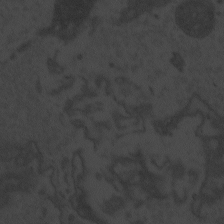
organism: Zebrafish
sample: Macrophage infected with Toxoplasma gondii